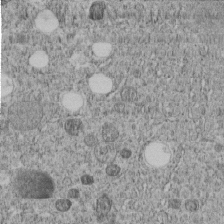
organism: C. elegans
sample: C. elegans embryo early stage